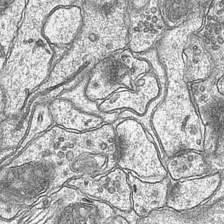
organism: Mouse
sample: CA1 Hippocampus